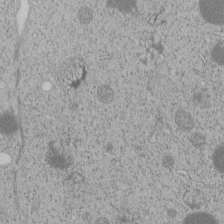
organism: C. elegans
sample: C. elegans embryo early stage